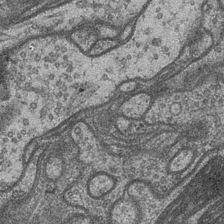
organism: Drosophila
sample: Optic medulla